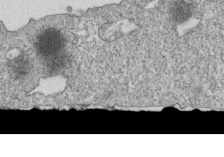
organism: Human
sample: HeLa cell HIV synapse